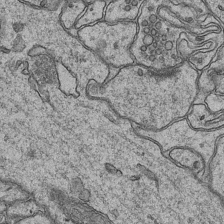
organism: Mouse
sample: CA1 Hippocampus